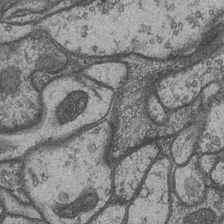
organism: Drosophila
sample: Optic medulla